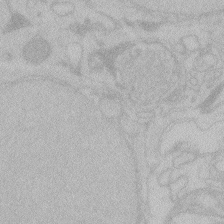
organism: Zebrafish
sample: Macrophage infected with Toxoplasma gondii